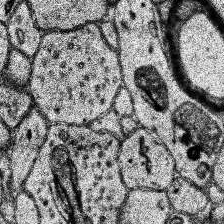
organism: Human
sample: Temporal Lobe